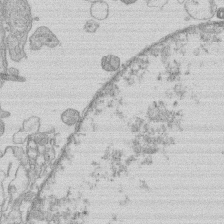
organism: Human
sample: Macrophage cells